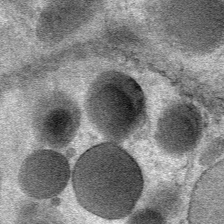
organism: Mouse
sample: Mouse Salivary gland